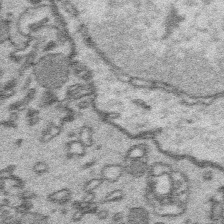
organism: Platynereis dumerilii